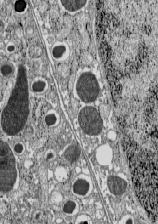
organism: C57BL Mouse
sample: Pancreatic islet